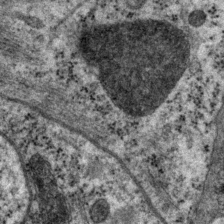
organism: P. pacificus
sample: Pharynx